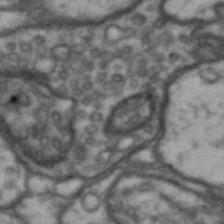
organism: Drosophila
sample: Brain